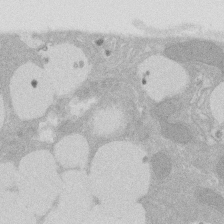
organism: Rat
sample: Salivary granule